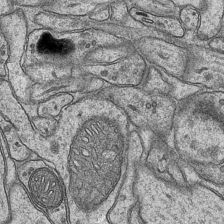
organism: Mouse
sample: CA1 Hippocampus